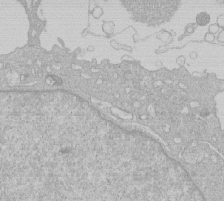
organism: Human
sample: Macrophage cells